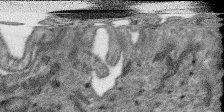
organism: Human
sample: Lung epithelial cells infected with SARS-CoV-2